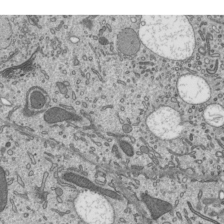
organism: Mouse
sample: Mouse epididymis efferent ductule cilia